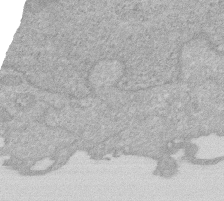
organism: Human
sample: HIV infected U937 cells